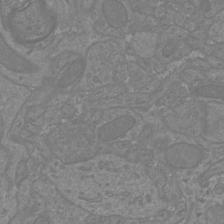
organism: Mouse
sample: Cortical neurons